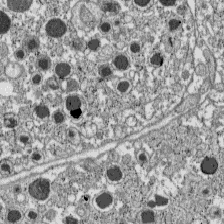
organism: C57BL Mouse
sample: Pancreatic islet